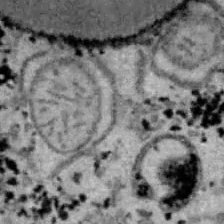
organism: Mouse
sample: Liver from an obese (ob/ob) mouse